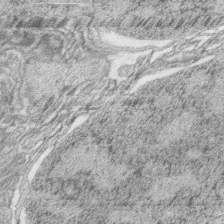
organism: Zebrafish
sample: synaptic ribbons in rod cells and cone cells